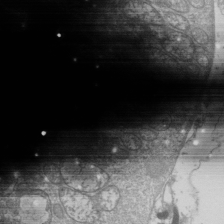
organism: Drosophila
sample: Cell division; meiosis; drosophila spermatocytes